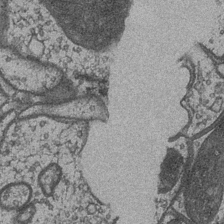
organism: Drosophila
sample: Optic medulla